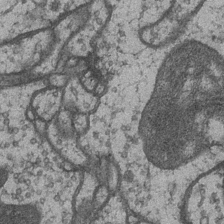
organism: Drosophila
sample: Optic medulla